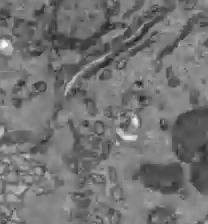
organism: C57BL Mouse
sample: Liver